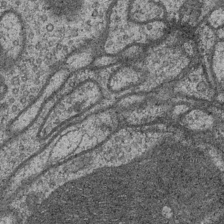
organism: Drosophila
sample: Optic medulla